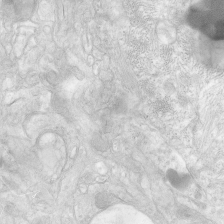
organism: Human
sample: Neocortex